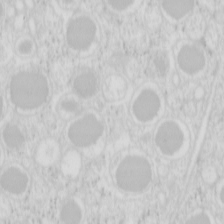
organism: Mouse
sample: Pancreas